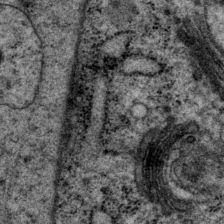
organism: P. pacificus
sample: Pharynx